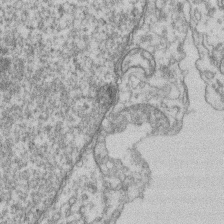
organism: Mouse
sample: T cell stromal cell synapse